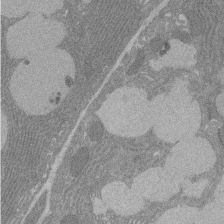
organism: Rat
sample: Salivary granule